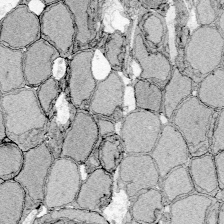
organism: Zebrafish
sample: Whole-Brain